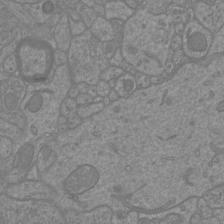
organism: Mouse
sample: Cortical neurons